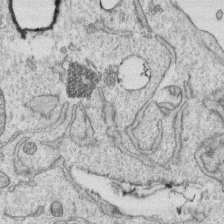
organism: Human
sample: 1205lu cells